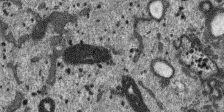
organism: Human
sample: Lung epithelial cells infected with SARS-CoV-2